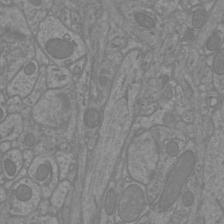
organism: Mouse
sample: Cortical neurons